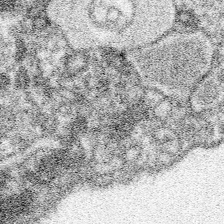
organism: Spongilla lacustris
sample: Neuroid cell